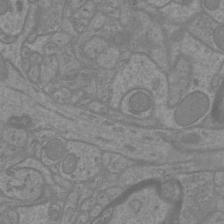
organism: Mouse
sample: Cortical neurons